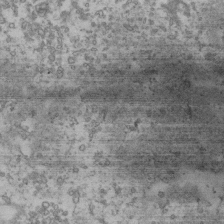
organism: Human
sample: Activated Jurkat CD4+ T cells